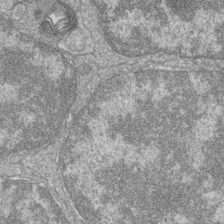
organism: Zebrafish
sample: Cilia; retinal pigment epithelium